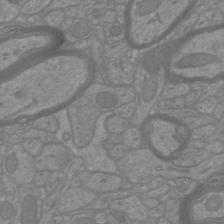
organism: Mouse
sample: Cortical neurons